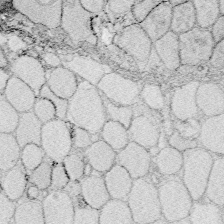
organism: Zebrafish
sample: Whole-Brain